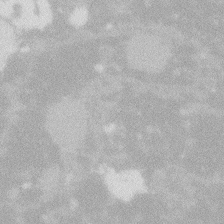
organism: Zebrafish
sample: Macrophage